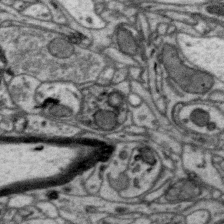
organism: Zebra finch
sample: Brain